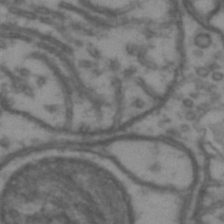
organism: Drosophila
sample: Brain